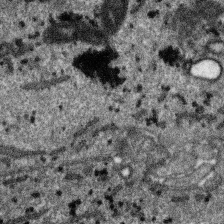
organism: Human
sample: Lung epithelial cells infected with SARS-CoV-2